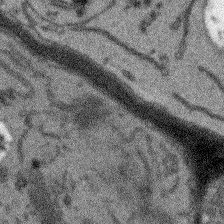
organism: Arabidopsis thaliana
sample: Root tip